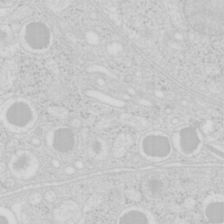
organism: Mouse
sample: Pancreas